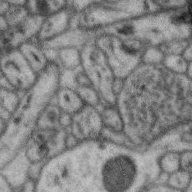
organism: Zebra finch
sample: Brain